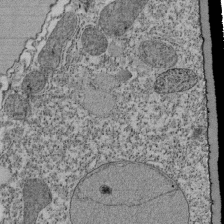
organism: Tetrahymena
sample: Cilia in tetrahymena